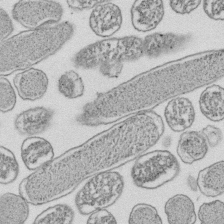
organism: E. coli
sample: Bacterial nucleoid